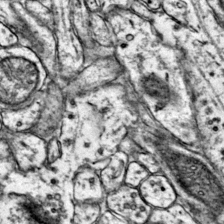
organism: Mouse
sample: Primary visual cortex